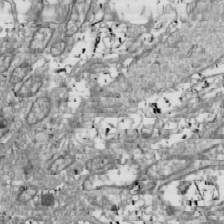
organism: Drosophila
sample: Cell division; meiosis; drosophila spermatocytes